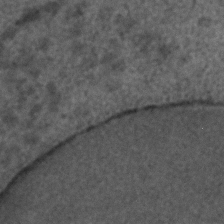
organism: C. elegans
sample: C. elegans embryo